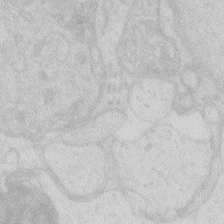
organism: Zebrafish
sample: Macrophage